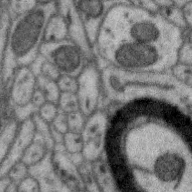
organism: Zebra finch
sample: Brain